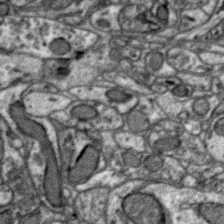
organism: Zebra finch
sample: Brain